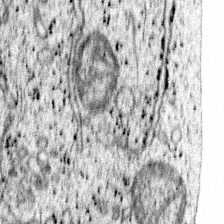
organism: Human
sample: HeLa cells